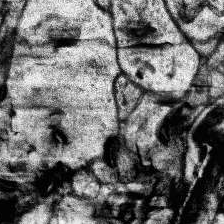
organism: Human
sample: Temporal Lobe